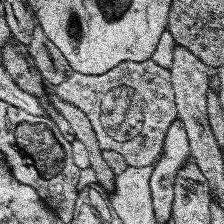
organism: Human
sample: Temporal Lobe